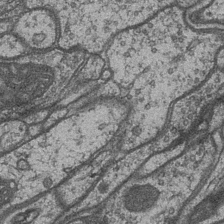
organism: Drosophila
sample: Optic medulla